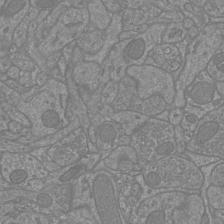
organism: Mouse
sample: Cortical neurons